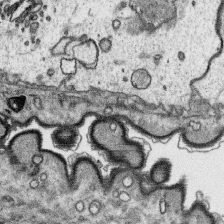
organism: Platynereis dumerilii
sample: Parapodia